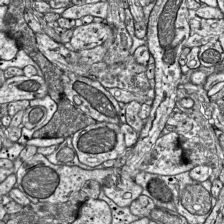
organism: Mouse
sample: Visual Cortex